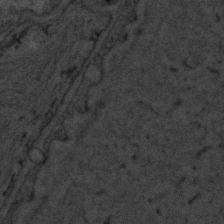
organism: C. elegans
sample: C. elegans embryo